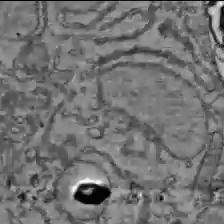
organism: C57BL Mouse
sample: Liver